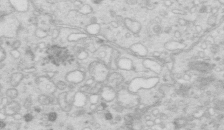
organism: Mouse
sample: Multiciliated cells